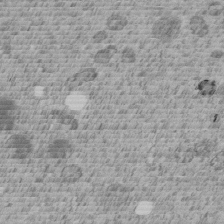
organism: C. elegans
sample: C. elegans embryo early stage